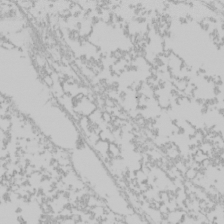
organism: Mouse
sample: Cancer cell death in ED-1 cells